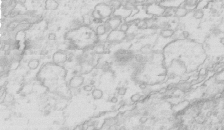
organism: Mouse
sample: Multiciliated cells